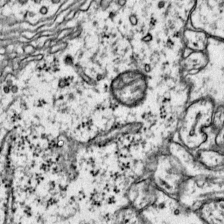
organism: Mouse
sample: Primary visual cortex